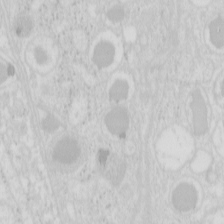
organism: Mouse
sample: Pancreas